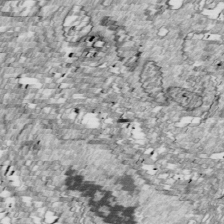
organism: Drosophila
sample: Cell division; meiosis; drosophila spermatocytes